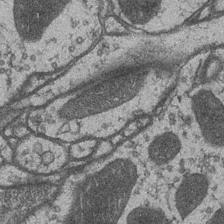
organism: Drosophila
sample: Optic medulla